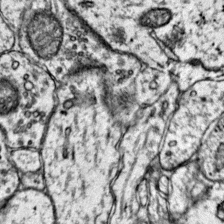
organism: Mouse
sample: Primary visual cortex